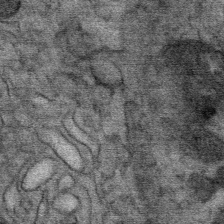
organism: Mouse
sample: Mouse Salivary gland